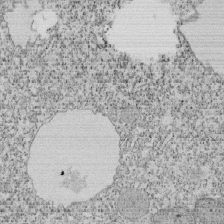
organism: Tetrahymena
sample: Cilia in tetrahymena